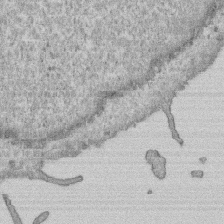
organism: Human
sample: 1205lu cells